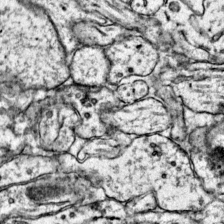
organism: Mouse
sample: Primary visual cortex